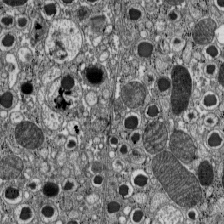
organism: C57BL Mouse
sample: Pancreatic islet